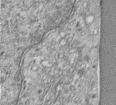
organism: Human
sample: Centriole in RPE cells